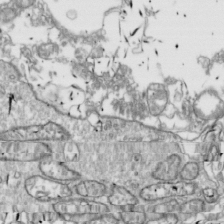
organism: Drosophila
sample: Cell division; meiosis; drosophila spermatocytes